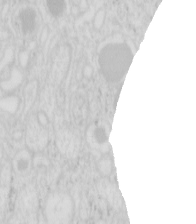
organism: Mouse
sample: Pancreas